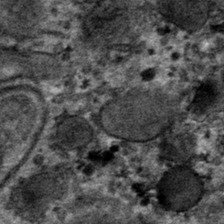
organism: Mouse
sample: Mouse hepatocytes